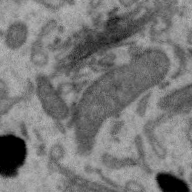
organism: Zebra finch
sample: Brain